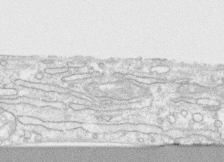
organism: Human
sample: CRL-1474